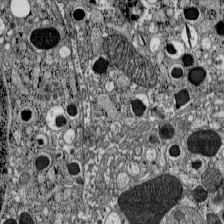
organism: C57BL Mouse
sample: Pancreatic islet